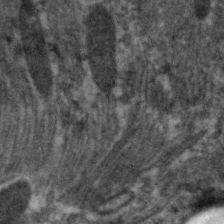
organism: C. elegans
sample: Pharynx